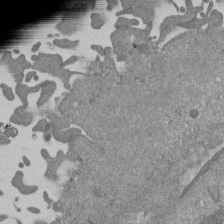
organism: Mouse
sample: ED-1 cell nuclei; centrioles